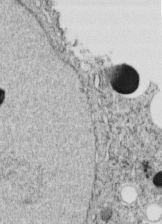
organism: C. elegans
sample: C. elegans embryo early stage